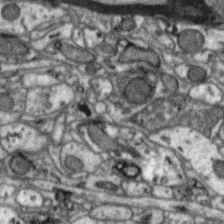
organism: Zebra finch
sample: Brain